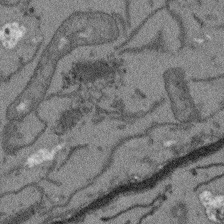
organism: Arabidopsis thaliana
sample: Root tip